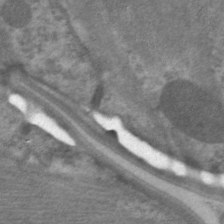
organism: C. elegans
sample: Pharynx